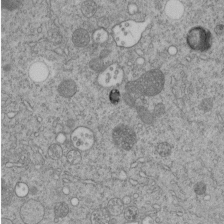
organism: C. elegans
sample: C. elegans embryo early stage